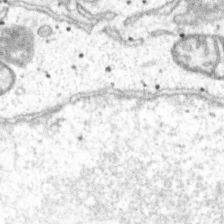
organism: Human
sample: HeLa cells